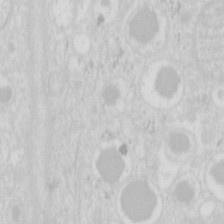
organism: Mouse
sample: Pancreas